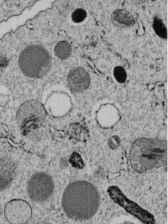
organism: C. elegans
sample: C. elegans embryo early stage